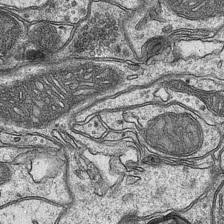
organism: Mouse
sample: CA1 Hippocampus